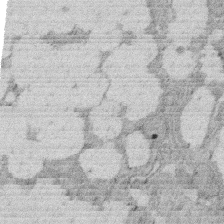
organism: Rat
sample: Salivary granule